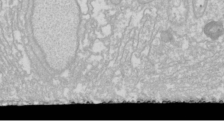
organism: Drosophila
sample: Cell division; meiosis; drosophila spermatocytes